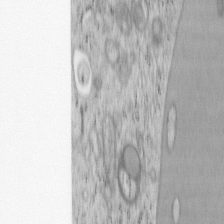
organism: Human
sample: HeLa cells